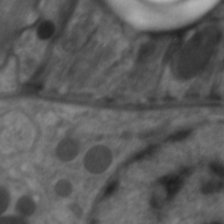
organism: C. elegans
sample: Pharynx